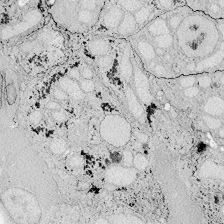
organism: Zebrafish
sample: Whole-Brain